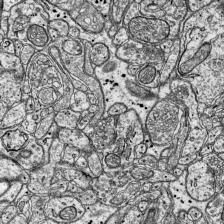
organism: Mouse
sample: Visual Cortex